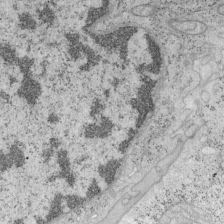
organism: Mouse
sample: OT-I killer T cells with ID8 ovarian cancer cells